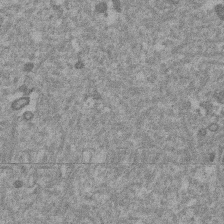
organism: Mouse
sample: Dividing mouse embryo 1 cell stage